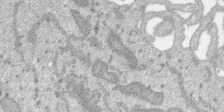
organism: Human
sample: Lung epithelial cells infected with SARS-CoV-2